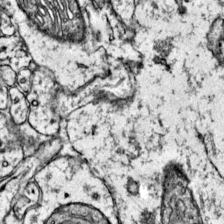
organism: Mouse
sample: Primary visual cortex